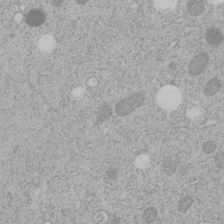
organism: C. elegans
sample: C. elegans embryo early stage